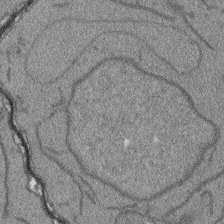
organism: Arabidopsis thaliana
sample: Root tip